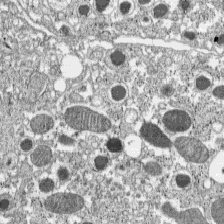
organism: C57BL Mouse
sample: Pancreatic islet